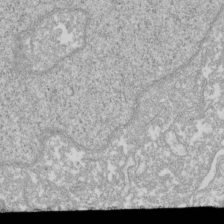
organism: Xenopus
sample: Cilia; centrioles in frog embryo cells